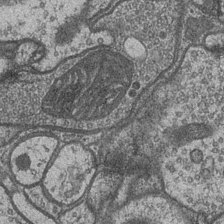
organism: Drosophila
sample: Optic medulla